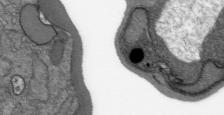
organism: Plasmodium falciparum